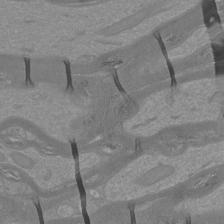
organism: Mouse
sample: Cortical neurons